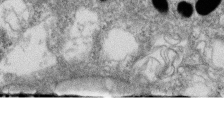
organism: Zebrafish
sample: Cilia; retinal pigment epithelium